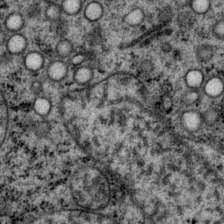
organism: P. pacificus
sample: Pharynx